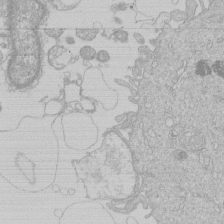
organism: Human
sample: Macrophage cells